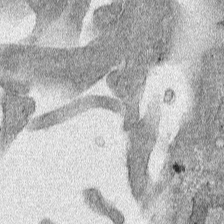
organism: Human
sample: Mitochondria in HCT116 cells